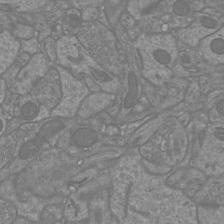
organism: Mouse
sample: Cortical neurons